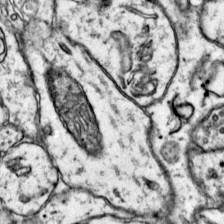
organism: Mouse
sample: Primary visual cortex